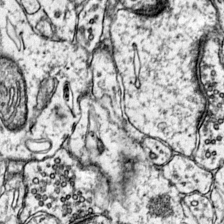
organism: Mouse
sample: Primary visual cortex